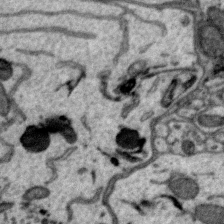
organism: Zebra finch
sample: Brain